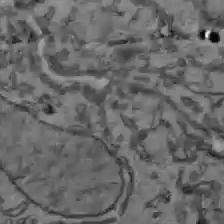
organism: C57BL Mouse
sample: Liver